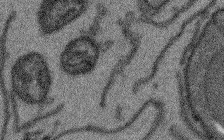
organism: Arabidopsis thaliana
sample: Root tip